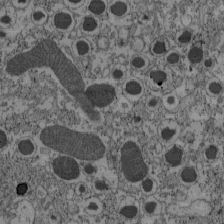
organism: C57BL Mouse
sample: Pancreatic islet